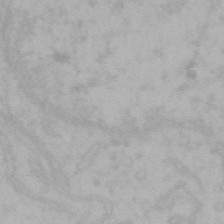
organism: Mouse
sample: Choroid plexus